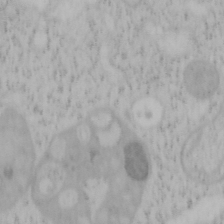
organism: Mouse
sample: OT-I killer T cells with ID8 ovarian cancer cells